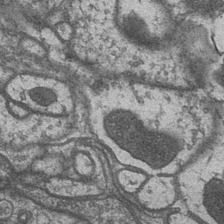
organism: Drosophila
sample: Optic medulla